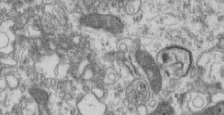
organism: Mouse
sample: Centriole in ependymal cells